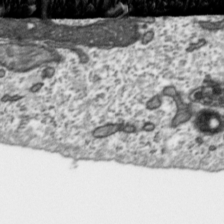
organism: Toxoplasma gondii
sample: Parasites in a vacuole inside a host cell